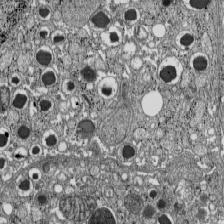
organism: C57BL Mouse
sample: Pancreatic islet